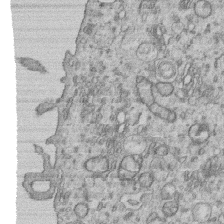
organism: Human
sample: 1205lu cells